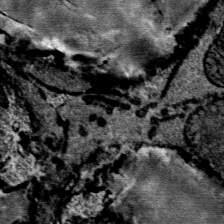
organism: Mouse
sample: Mouse Salivary gland